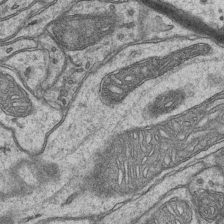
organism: Mouse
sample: CA1 Hippocampus